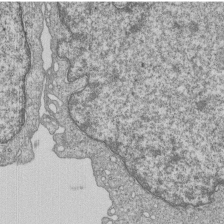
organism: Human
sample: MDA-MB-231 cells